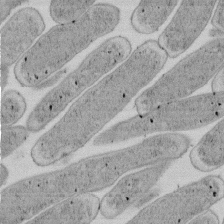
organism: E. coli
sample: Bacterial nucleoid